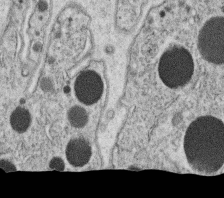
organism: C. elegans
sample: C. elegans oocyte; sperm cells